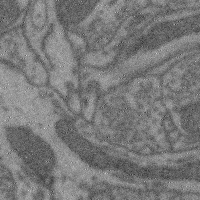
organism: Mouse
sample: Cerebral cortex